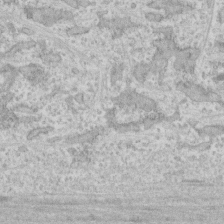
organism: Human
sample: CRL-1474